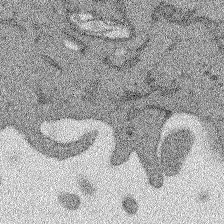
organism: Human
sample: HeLa cells